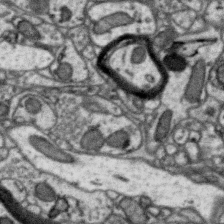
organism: Zebra finch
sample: Brain